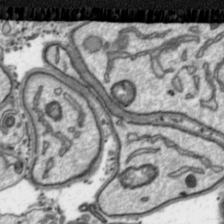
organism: Toxoplasma gondii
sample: Parasites in a vacuole inside a host cell